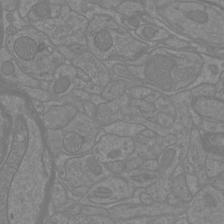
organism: Mouse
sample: Cortical neurons